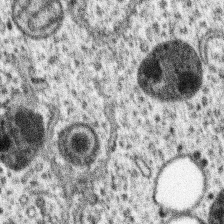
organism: Human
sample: HeLa cells